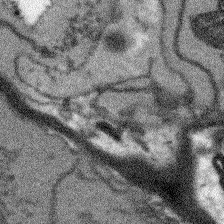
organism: Arabidopsis thaliana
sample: Root tip